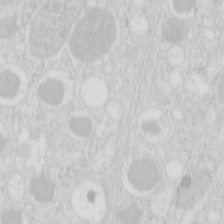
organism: Mouse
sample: Pancreas